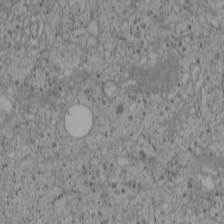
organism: African green monkey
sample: COS-7 cells